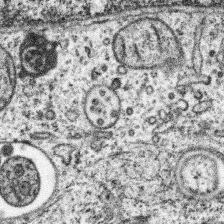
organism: Human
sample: HeLa cells